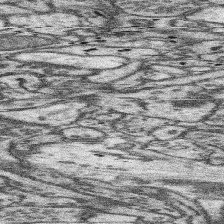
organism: Mouse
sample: Somatosensory cortex neuropil